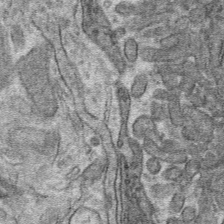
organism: Mouse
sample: Mouse hepatocytes